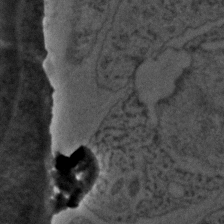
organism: C. elegans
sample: C. elegans embryo